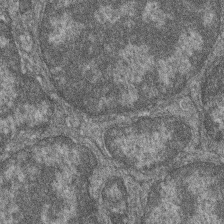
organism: Zebrafish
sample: Cilia; retinal pigment epithelium